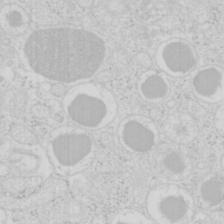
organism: Mouse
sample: Pancreas